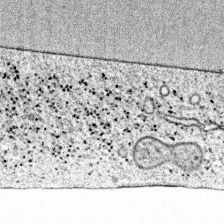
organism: Human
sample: HeLa cells